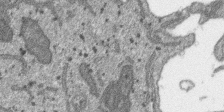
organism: Human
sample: Lung epithelial cells infected with SARS-CoV-2